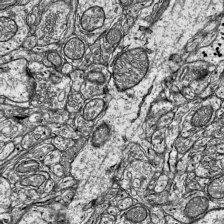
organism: Mouse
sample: Visual Cortex